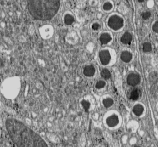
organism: C57BL Mouse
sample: Pancreatic islet